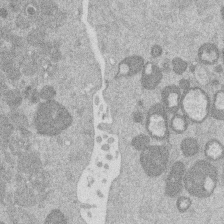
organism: Mouse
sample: Dividing mouse embryo 1 cell stage